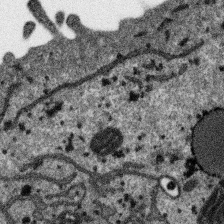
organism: Human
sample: Lung epithelial cells infected with SARS-CoV-2